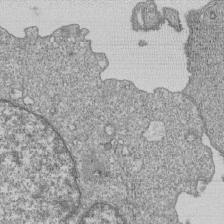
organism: Human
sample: MDA-MB-231 cells